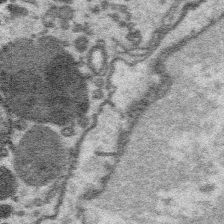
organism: Platynereis dumerilii